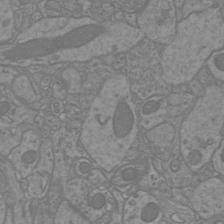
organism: Mouse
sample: Cortical neurons